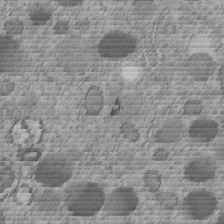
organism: C. elegans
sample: C. elegans embryo early stage